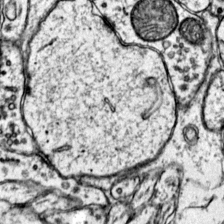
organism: Mouse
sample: Primary visual cortex